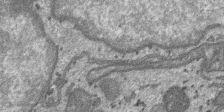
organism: Human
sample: Lung epithelial cells infected with SARS-CoV-2